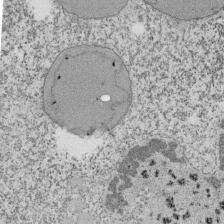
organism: Tetrahymena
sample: Cilia in tetrahymena